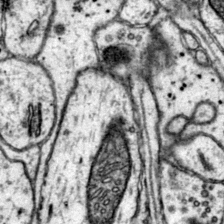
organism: Mouse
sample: Primary visual cortex